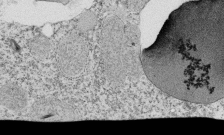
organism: Tetrahymena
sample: Cilia in tetrahymena